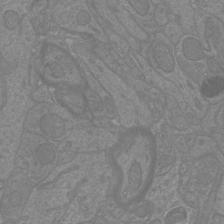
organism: Mouse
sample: Cortical neurons